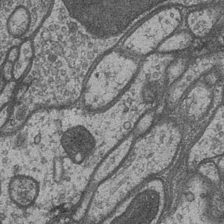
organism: Drosophila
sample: Optic medulla